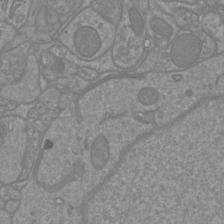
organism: Mouse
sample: Cortical neurons